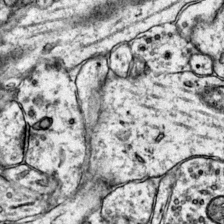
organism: Mouse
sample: Primary visual cortex